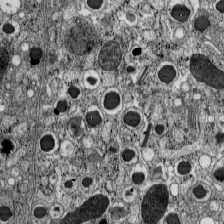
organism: C57BL Mouse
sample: Pancreatic islet